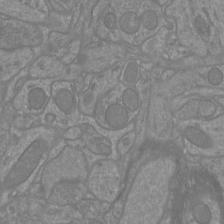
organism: Mouse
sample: Cortical neurons